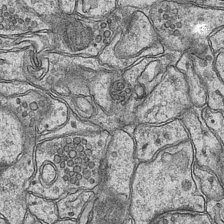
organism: Mouse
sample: CA1 Hippocampus